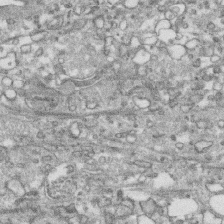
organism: Human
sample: CRL-1474